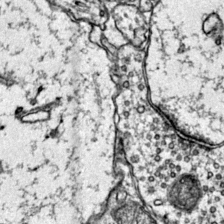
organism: Mouse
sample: Primary visual cortex